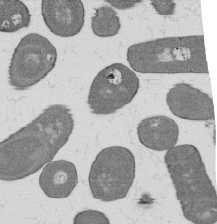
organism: B. subtilis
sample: Bacterial spore